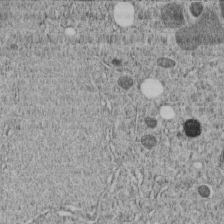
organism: C. elegans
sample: C. elegans embryo early stage